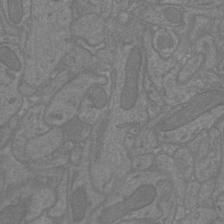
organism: Mouse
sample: Cortical neurons